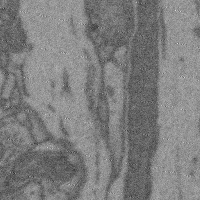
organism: Mouse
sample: Cerebral cortex